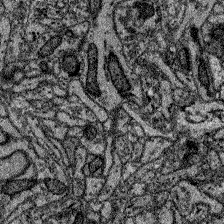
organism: Zebrafish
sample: Larval olfactory bulb